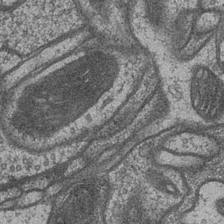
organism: Drosophila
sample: Optic medulla